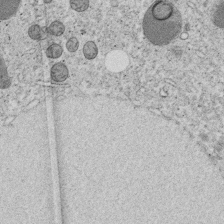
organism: C. elegans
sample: C. elegans embryo early stage